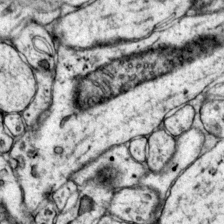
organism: Mouse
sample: Primary visual cortex